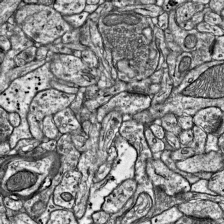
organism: Mouse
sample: Visual Cortex